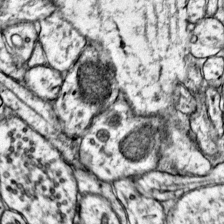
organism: Mouse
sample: Primary visual cortex